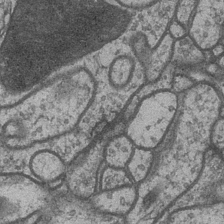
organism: Drosophila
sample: Optic medulla